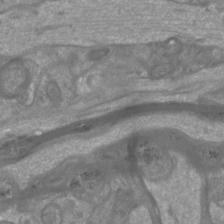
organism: Mouse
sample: Cortical neurons